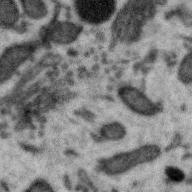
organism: Zebra finch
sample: Brain